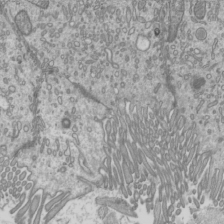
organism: Mouse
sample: Cilia; mouse epididymis